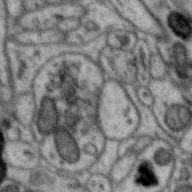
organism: Zebra finch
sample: Brain